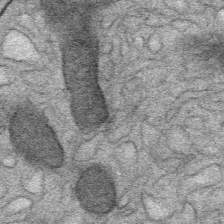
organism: Mouse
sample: Mouse Salivary gland